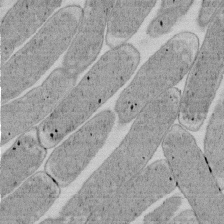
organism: E. coli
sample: Bacterial nucleoid